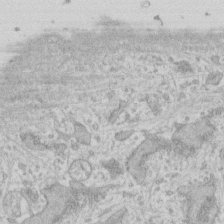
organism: Human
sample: Fibroblast cells